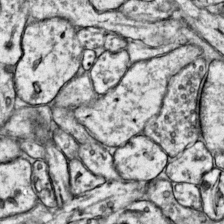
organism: Mouse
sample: Primary visual cortex